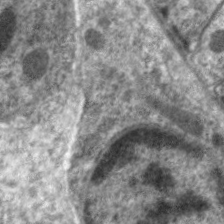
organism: C. elegans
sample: Pharynx